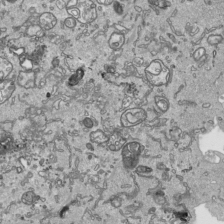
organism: Human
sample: Mitochondria in HCT116 cells